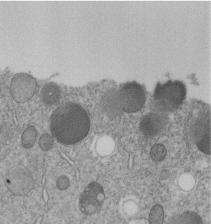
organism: C. elegans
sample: C. elegans embryo early stage